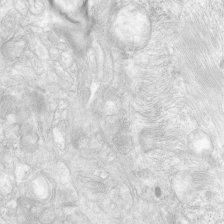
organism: Human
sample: Neocortex